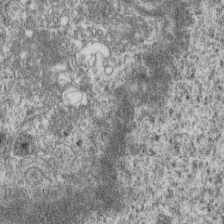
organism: Mouse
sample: Centriole in ependymal cells